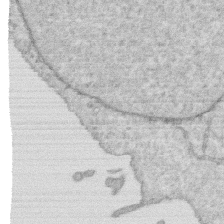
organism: Human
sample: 1205lu cells